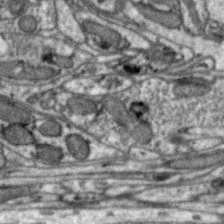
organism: Zebra finch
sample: Brain